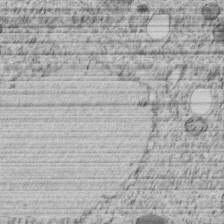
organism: C. elegans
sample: C. elegans embryo early stage